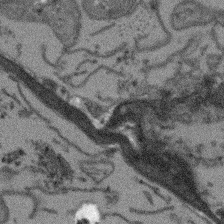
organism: Arabidopsis thaliana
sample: Root tip